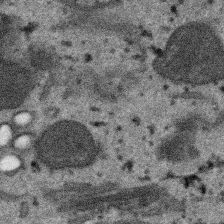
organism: Human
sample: Lung epithelial cells infected with SARS-CoV-2